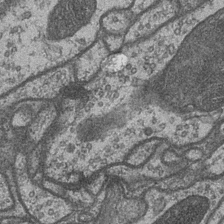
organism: Drosophila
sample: Optic medulla